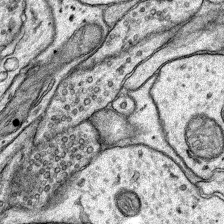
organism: Rat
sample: Hippocampus